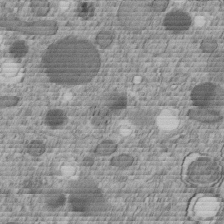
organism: C. elegans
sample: C. elegans embryo early stage